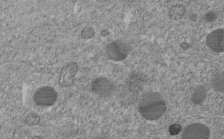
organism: C. elegans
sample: C. elegans embryo early stage